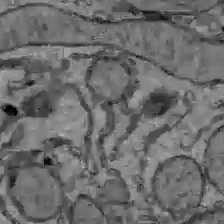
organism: C57BL Mouse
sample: Liver